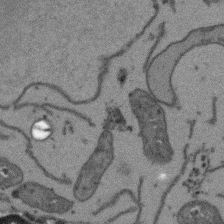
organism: Arabidopsis thaliana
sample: Root tip